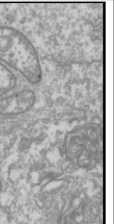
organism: Drosophila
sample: Cell division; meiosis; drosophila spermatocytes